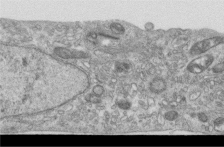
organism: Human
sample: Centriole in RPE cells